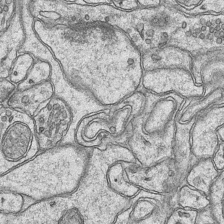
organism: Mouse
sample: CA1 Hippocampus